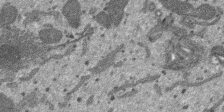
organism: Human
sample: Lung epithelial cells infected with SARS-CoV-2